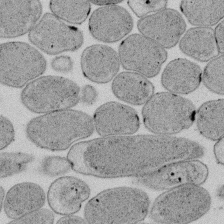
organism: E. coli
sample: Bacterial nucleoid